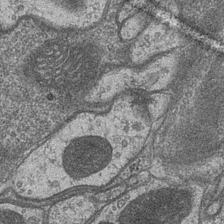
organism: Drosophila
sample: Optic medulla